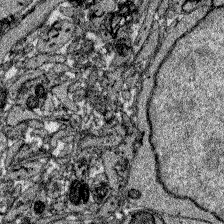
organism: Zebrafish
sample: Larval olfactory bulb